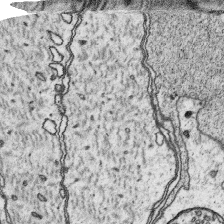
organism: Platynereis dumerilii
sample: Parapodia